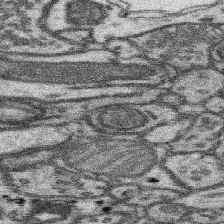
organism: Mouse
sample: Somatosensory cortex neuropil